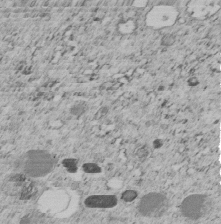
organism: C. elegans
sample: C. elegans embryo early stage